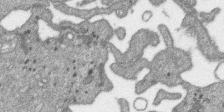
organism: Human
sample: Lung epithelial cells infected with SARS-CoV-2